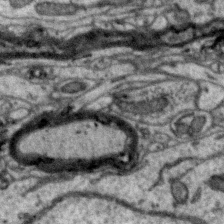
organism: Zebra finch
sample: Brain